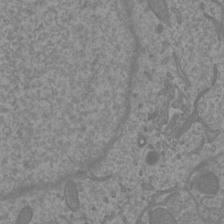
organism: Mouse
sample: Cortical neurons